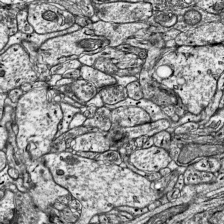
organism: Mouse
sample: Visual Cortex